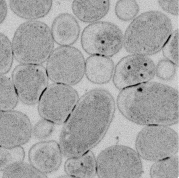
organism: E. coli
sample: Bacterial nucleoid